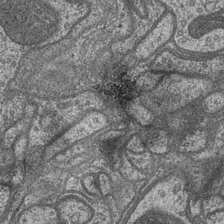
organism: Drosophila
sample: Optic medulla